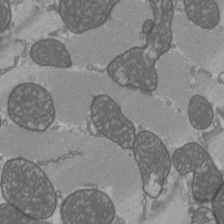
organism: C57BL Mouse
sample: Heart